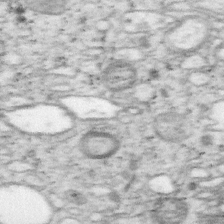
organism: Mouse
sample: OT-I killer T cells with ID8 ovarian cancer cells